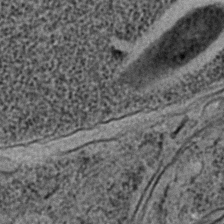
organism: C. elegans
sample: C. elegans embryo